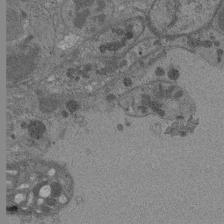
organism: Drosophila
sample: Antenna